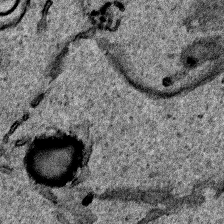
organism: Human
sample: Mitochondria in HCT116 cells